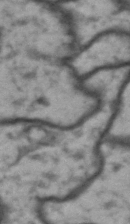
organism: Drosophila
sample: Brain